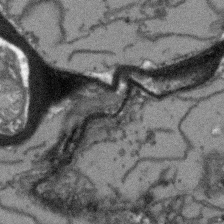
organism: Arabidopsis thaliana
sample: Root tip